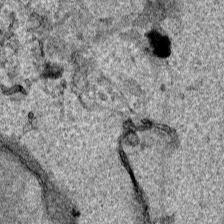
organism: Human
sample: Mitochondria in HCT116 cells